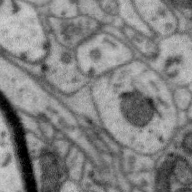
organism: Zebra finch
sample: Brain